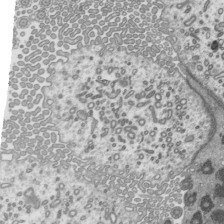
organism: Mouse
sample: Mouse epididymis efferent ductule cilia